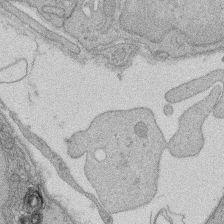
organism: Rat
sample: Salivary granule